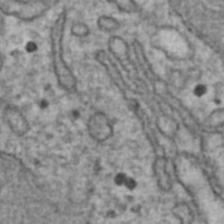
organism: Human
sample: Blood